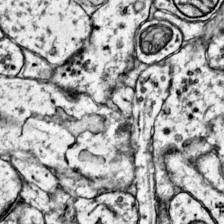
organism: Mouse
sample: Primary visual cortex